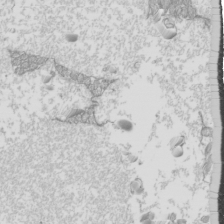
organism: Mouse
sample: Cilia; mouse epididymis